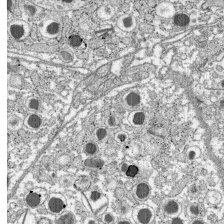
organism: C57BL Mouse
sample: Pancreatic islet